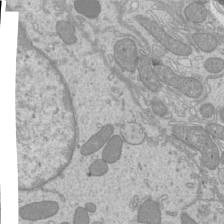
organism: Mouse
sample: Cilia; mouse epididymis